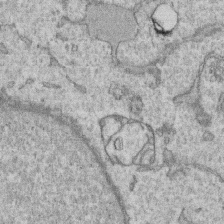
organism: Human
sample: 1205lu cells